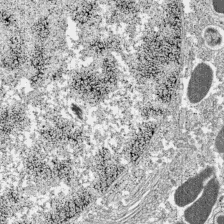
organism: C57BL Mouse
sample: Pancreatic islet